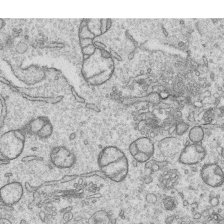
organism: Human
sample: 1205lu cells